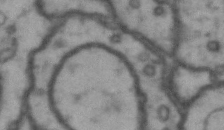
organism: Drosophila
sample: Brain